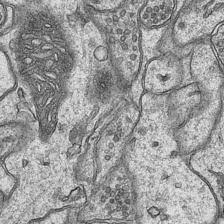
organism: Mouse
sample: CA1 Hippocampus